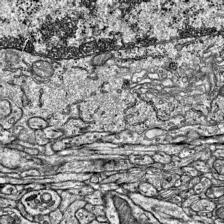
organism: Mouse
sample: Visual Cortex